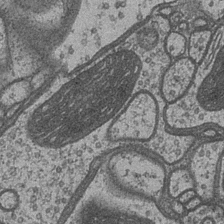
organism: Drosophila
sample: Optic medulla